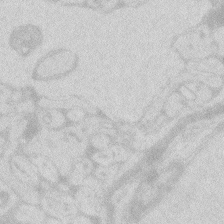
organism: Zebrafish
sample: Macrophage